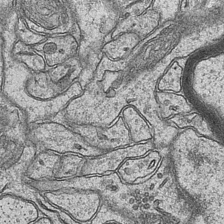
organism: Mouse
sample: CA1 Hippocampus